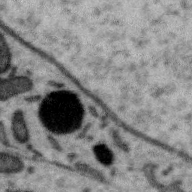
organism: Zebra finch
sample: Brain